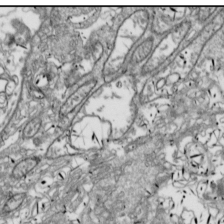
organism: Drosophila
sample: Cell division; meiosis; drosophila spermatocytes